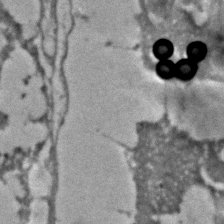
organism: C. elegans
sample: C. elegans embryo